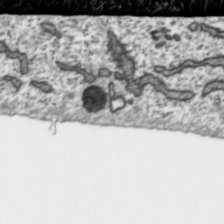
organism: Toxoplasma gondii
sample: Parasites in a vacuole inside a host cell